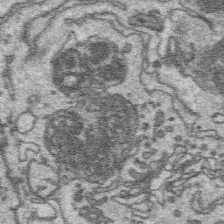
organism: Platynereis dumerilii